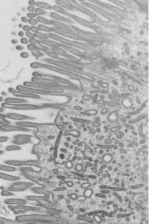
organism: Mouse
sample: Mouse epididymis efferent ductule cilia